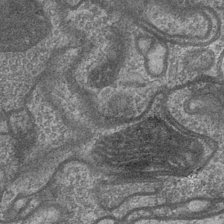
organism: Drosophila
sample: Optic medulla